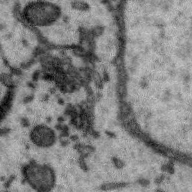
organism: Zebra finch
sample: Brain